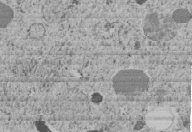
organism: C. elegans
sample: C. elegans embryo early stage